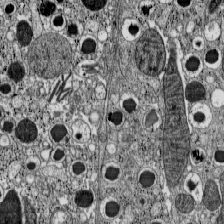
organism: C57BL Mouse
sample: Pancreatic islet